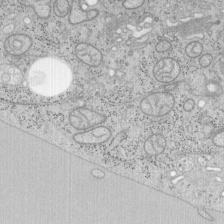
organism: Mouse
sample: OT-I killer T cells with ID8 ovarian cancer cells